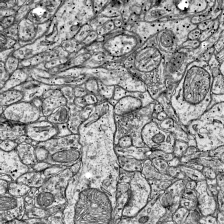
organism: Mouse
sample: Visual Cortex